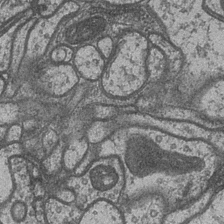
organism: Drosophila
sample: Optic medulla